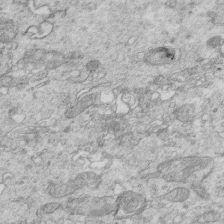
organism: Mouse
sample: Multiciliated cells